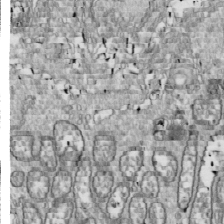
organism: Drosophila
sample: Cell division; meiosis; drosophila spermatocytes